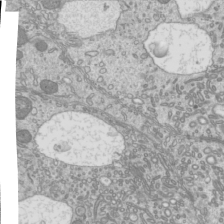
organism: Mouse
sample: Cilia; mouse epididymis